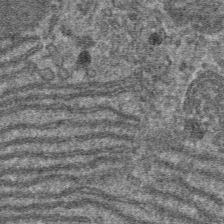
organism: Mouse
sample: Mouse hepatocytes